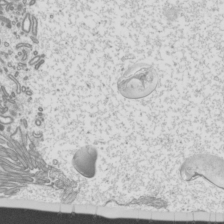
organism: Mouse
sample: Cilia; mouse epididymis